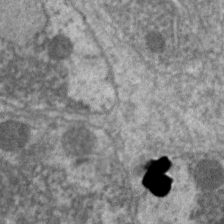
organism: C. elegans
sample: Pharynx